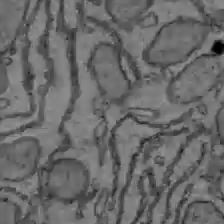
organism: C57BL Mouse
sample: Liver